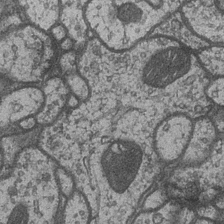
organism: Drosophila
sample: Optic medulla